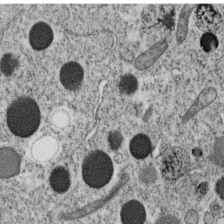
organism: C. elegans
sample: C. elegans oocyte; sperm cells